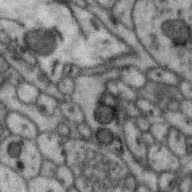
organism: Zebra finch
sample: Brain